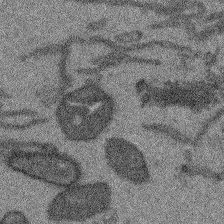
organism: Arabidopsis thaliana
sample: Root tip